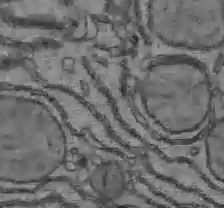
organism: C57BL Mouse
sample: Liver